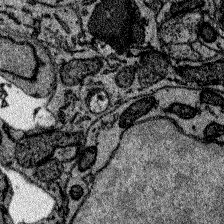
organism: Zebrafish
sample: Larval olfactory bulb